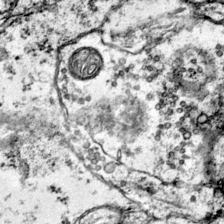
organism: Mouse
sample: Primary visual cortex